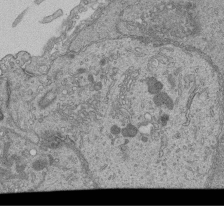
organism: Human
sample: Retinal organoid Rod and Cone cells